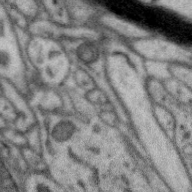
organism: Zebra finch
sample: Brain